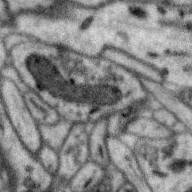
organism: Zebra finch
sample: Brain